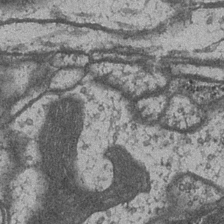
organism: Drosophila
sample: Optic medulla